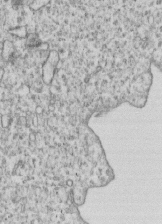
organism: Human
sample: MDA-MB-231 cells